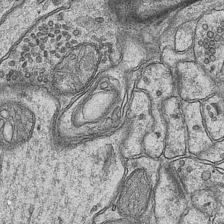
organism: Mouse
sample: CA1 Hippocampus